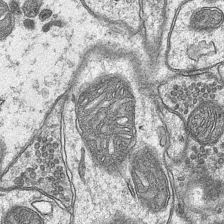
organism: Mouse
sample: CA1 Hippocampus